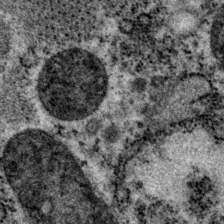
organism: P. pacificus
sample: Pharynx